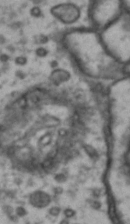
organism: Drosophila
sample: Brain